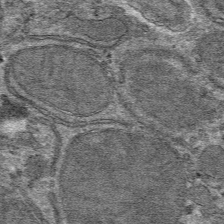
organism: Mouse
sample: Mouse hepatocytes